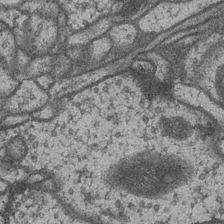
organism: Drosophila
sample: Optic medulla